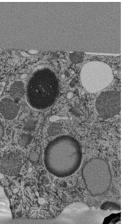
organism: C. elegans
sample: C. elegans pharynx